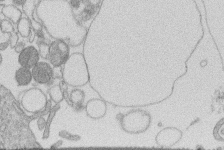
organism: Human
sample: Macrophage cells